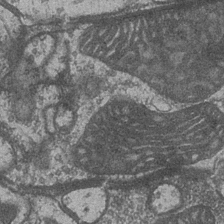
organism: Drosophila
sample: Optic medulla